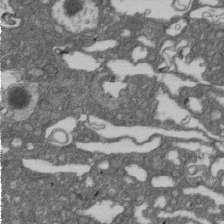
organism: Drosophila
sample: Nephrocyte